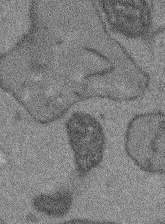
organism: Arabidopsis thaliana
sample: Root tip